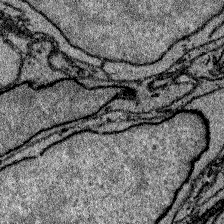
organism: Zebrafish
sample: Larval olfactory bulb